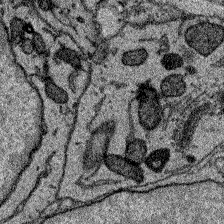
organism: Zebrafish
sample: Larval olfactory bulb